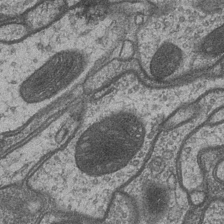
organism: Drosophila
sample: Optic medulla